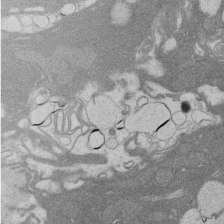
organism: Rat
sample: Salivary granule